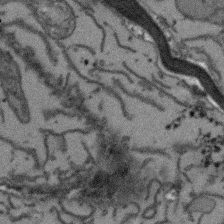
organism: Arabidopsis thaliana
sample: Root tip